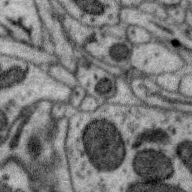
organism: Zebra finch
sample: Brain